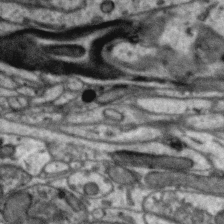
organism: Zebra finch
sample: Brain